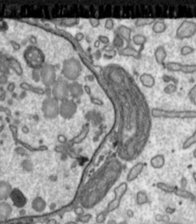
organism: Toxoplasma gondii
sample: Parasites in a vacuole inside a host cell